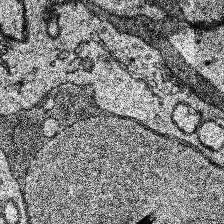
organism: Human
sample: Temporal Lobe